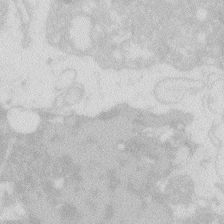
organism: Zebrafish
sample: Macrophage